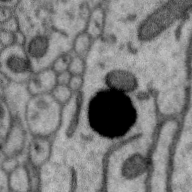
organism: Zebra finch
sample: Brain